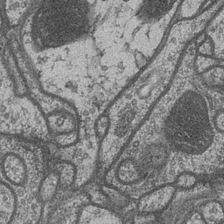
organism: Drosophila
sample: Optic medulla